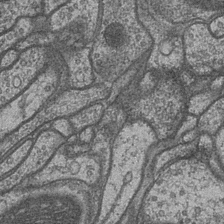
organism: Drosophila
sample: Optic medulla